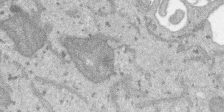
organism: Human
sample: Lung epithelial cells infected with SARS-CoV-2